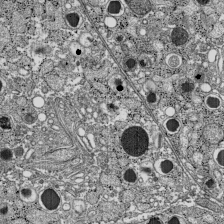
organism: C57BL Mouse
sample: Pancreatic islet